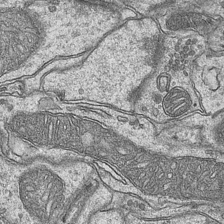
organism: Mouse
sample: CA1 Hippocampus